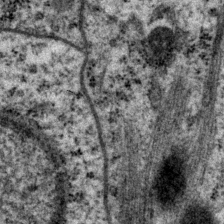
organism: P. pacificus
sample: Pharynx